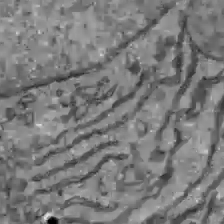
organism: C57BL Mouse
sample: Liver